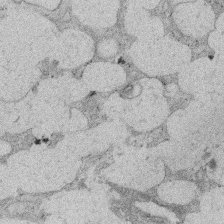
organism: Rat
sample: Salivary granule